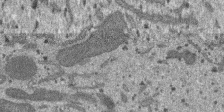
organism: Human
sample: Lung epithelial cells infected with SARS-CoV-2